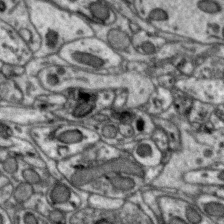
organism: Zebra finch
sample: Brain